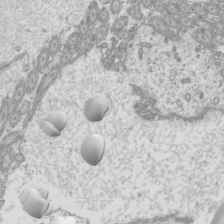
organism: Mouse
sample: Cilia; mouse epididymis